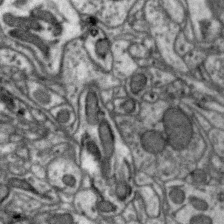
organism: Zebra finch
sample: Brain